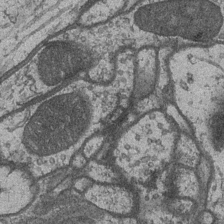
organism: Drosophila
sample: Optic medulla